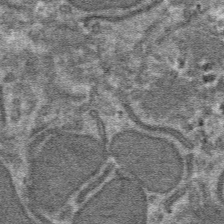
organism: Mouse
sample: Mouse hepatocytes